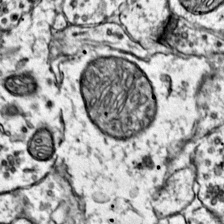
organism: Mouse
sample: Primary visual cortex